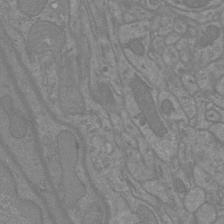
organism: Mouse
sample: Cortical neurons